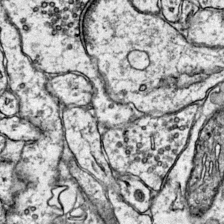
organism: Mouse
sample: Primary visual cortex